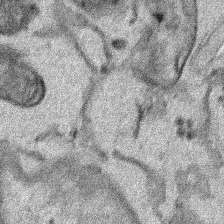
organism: Human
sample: Mitochondria in HCT116 cells